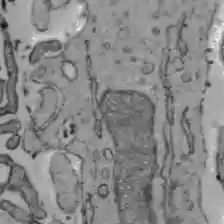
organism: C57BL Mouse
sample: Liver